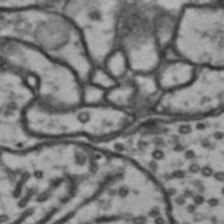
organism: Drosophila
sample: Brain